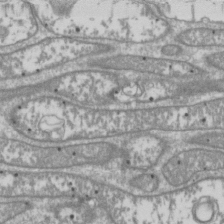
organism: Drosophila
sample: Cell division; meiosis; drosophila spermatocytes